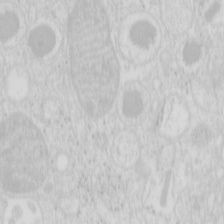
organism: Mouse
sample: Pancreas